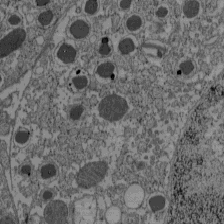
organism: C57BL Mouse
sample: Pancreatic islet